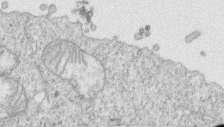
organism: Human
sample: HeLa cell HIV synapse